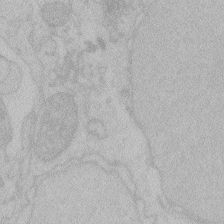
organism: Zebrafish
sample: Macrophage infected with Toxoplasma gondii